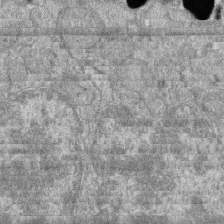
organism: Zebrafish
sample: Cilia; retinal pigment epithelium